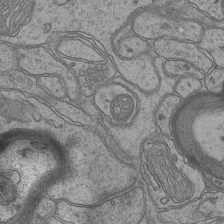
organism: Mouse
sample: CA1 Hippocampus